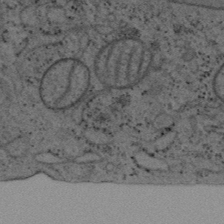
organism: Human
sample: HeLa cells